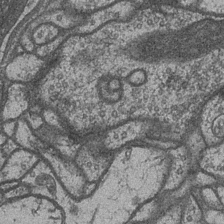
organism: Drosophila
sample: Optic medulla